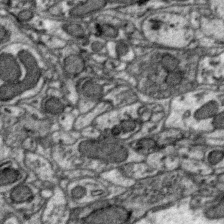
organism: Zebra finch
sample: Brain